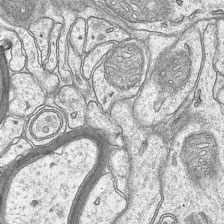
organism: Mouse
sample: CA1 Hippocampus